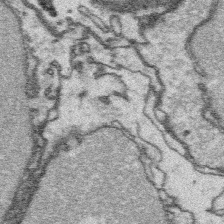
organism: Platynereis dumerilii